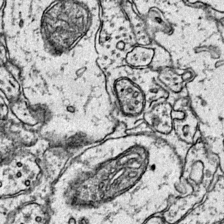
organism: Mouse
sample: Primary visual cortex